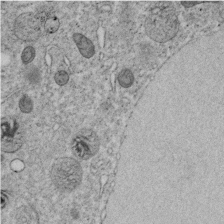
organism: C. elegans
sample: C. elegans embryo early stage